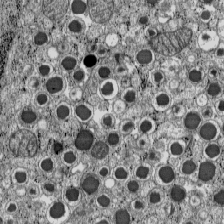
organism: C57BL Mouse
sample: Pancreatic islet